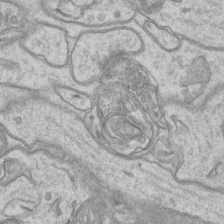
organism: Mouse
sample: CA1 Hippocampus